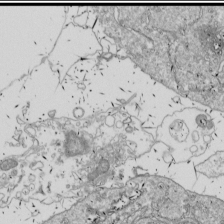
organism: Drosophila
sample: Cell division; meiosis; drosophila spermatocytes